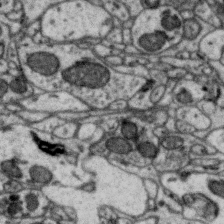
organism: Zebra finch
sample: Brain